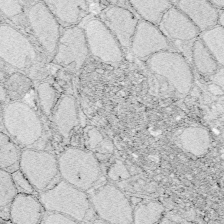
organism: Zebrafish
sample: Whole-Brain